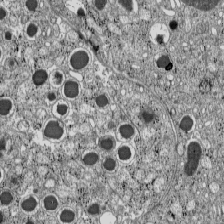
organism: C57BL Mouse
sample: Pancreatic islet